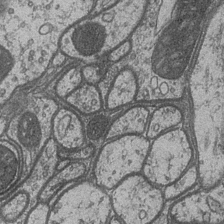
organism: Drosophila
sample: Optic medulla